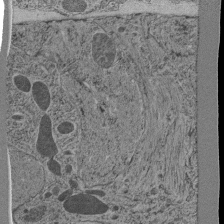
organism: C. elegans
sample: C. elegans pharynx